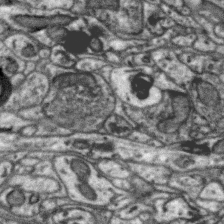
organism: Zebra finch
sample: Brain